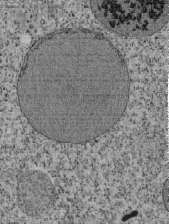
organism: Tetrahymena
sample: Cilia in tetrahymena